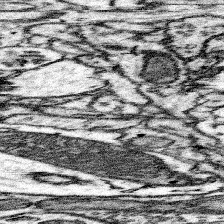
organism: Mouse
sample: Somatosensory cortex neuropil